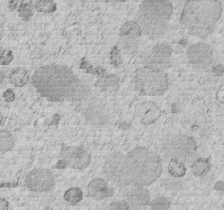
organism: C. elegans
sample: C. elegans embryo early stage